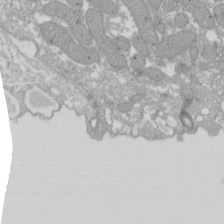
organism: Xenopus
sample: Cilia; centrioles in frog embryo cells